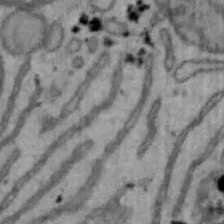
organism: Mouse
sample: Liver